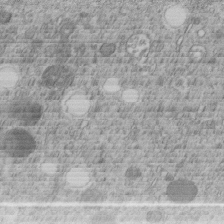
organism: C. elegans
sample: C. elegans embryo early stage